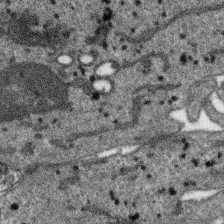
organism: Human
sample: Lung epithelial cells infected with SARS-CoV-2